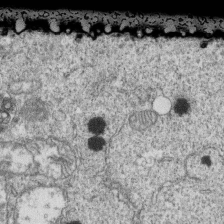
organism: Human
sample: HeLa cell HIV synapse